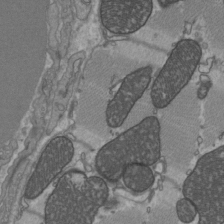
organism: C57BL Mouse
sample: Heart